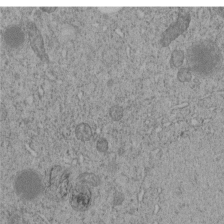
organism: C. elegans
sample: C. elegans embryo early stage